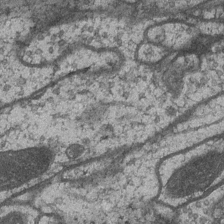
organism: Drosophila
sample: Optic medulla